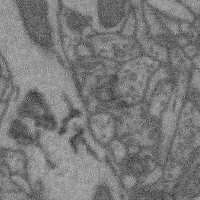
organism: Mouse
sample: Cerebral cortex